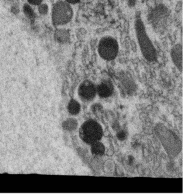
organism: C. elegans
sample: C. elegans oocyte; sperm cells